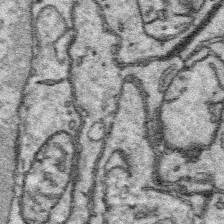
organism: Platynereis dumerilii